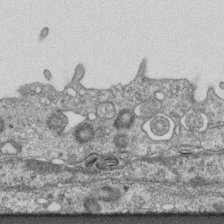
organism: Mouse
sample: Centriole in ependymal cells